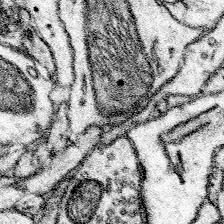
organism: Mouse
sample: Somatosensory cortex neuropil